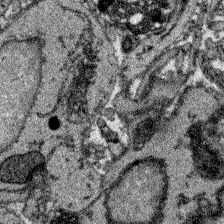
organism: Zebrafish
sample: Larval olfactory bulb